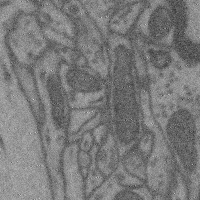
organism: Mouse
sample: Cerebral cortex